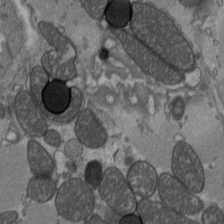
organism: C57BL Mouse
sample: Heart